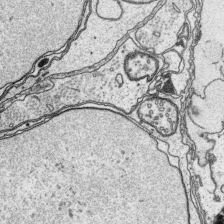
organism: Platynereis dumerilii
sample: Parapodia